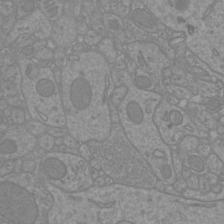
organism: Mouse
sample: Cortical neurons